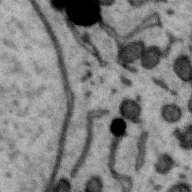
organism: Zebra finch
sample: Brain